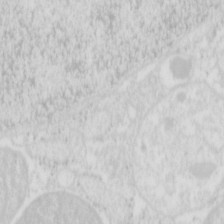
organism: Mouse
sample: Pancreas